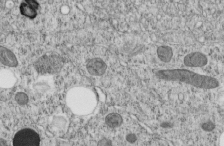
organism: C. elegans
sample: C. elegans embryo early stage